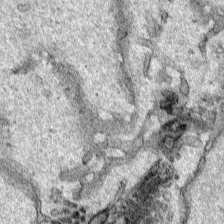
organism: Human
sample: Mitochondria in HCT116 cells